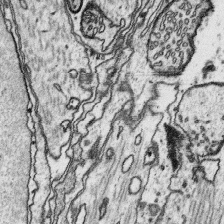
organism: Platynereis dumerilii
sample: Parapodia